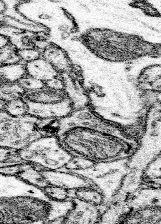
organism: Mouse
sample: Somatosensory cortex neuropil